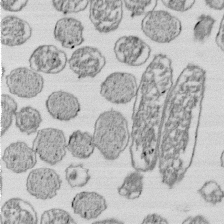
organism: E. coli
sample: Bacterial nucleoid